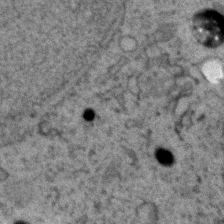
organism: Zebrafish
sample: Zebrafish embryo